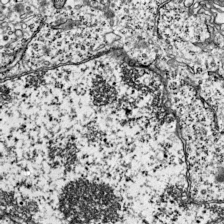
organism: Mouse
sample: Visual Cortex